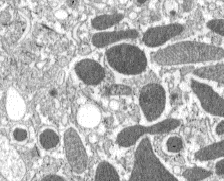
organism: C57BL Mouse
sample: Pancreatic islet